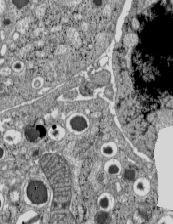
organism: C57BL Mouse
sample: Pancreatic islet